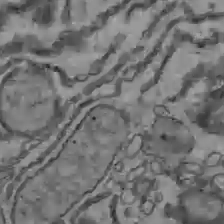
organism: C57BL Mouse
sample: Liver